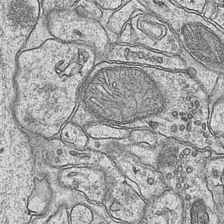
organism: Mouse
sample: CA1 Hippocampus